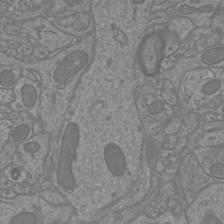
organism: Mouse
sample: Cortical neurons